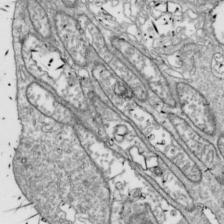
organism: Drosophila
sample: Cell division; meiosis; drosophila spermatocytes